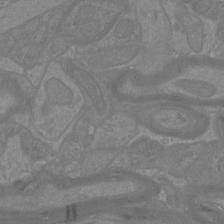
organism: Mouse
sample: Cortical neurons